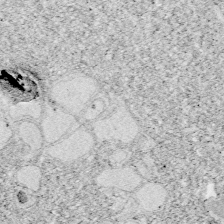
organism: Zebrafish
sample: Whole-Brain